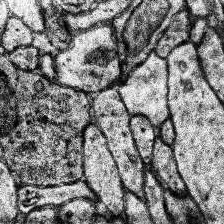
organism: Human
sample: Temporal Lobe